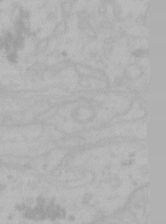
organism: Mouse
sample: Choroid plexus